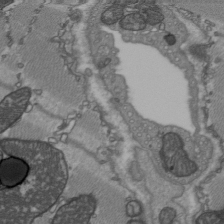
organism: C57BL Mouse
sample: Heart